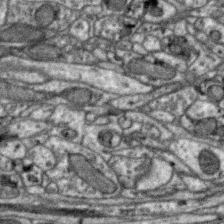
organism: Zebra finch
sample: Brain